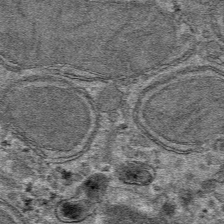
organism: Mouse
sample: Mouse hepatocytes